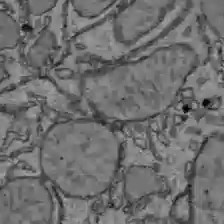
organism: C57BL Mouse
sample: Liver